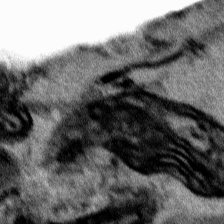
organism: Human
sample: Mitochondria in HCT116 cells